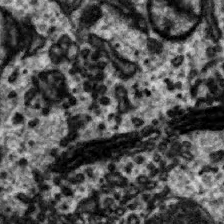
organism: Human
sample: HeLa cells